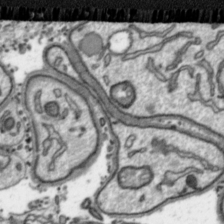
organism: Toxoplasma gondii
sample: Parasites in a vacuole inside a host cell